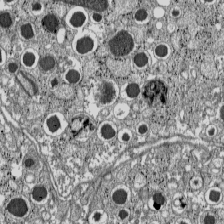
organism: C57BL Mouse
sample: Pancreatic islet